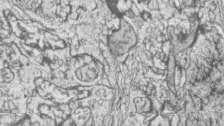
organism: Zebrafish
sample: synaptic ribbons in rod cells and cone cells